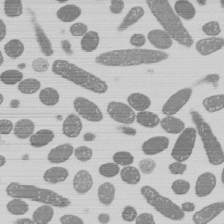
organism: E. coli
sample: Bacterial nucleoid